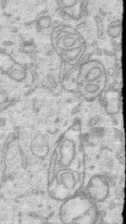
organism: Human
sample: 1205lu cells